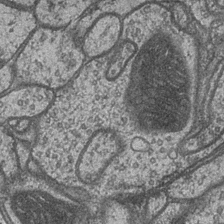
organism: Drosophila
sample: Optic medulla